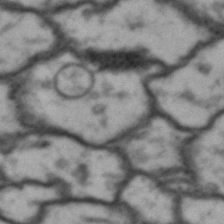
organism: Drosophila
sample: Brain